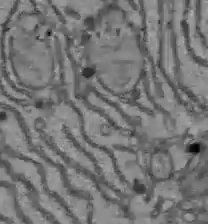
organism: C57BL Mouse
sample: Liver